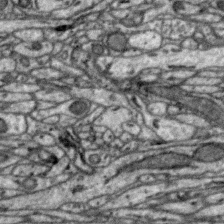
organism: Zebra finch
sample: Brain